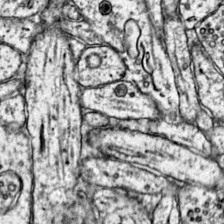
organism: Mouse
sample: Primary visual cortex